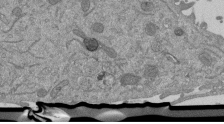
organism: Mouse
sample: ED-1 cell nuclei; centrioles